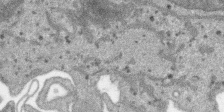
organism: Human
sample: Lung epithelial cells infected with SARS-CoV-2